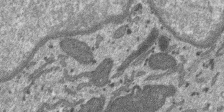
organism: Human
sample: Lung epithelial cells infected with SARS-CoV-2